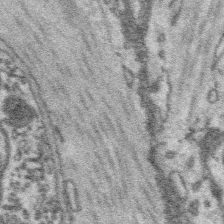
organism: Platynereis dumerilii